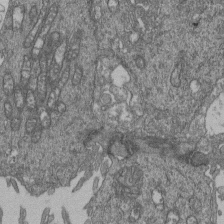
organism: Human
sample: Retinal organoid Rod and Cone cells